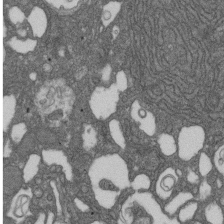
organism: Drosophila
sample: Nephrocyte